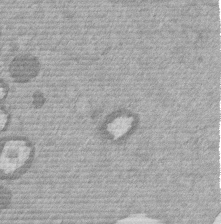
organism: Mouse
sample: Dividing mouse embryo 1 cell stage